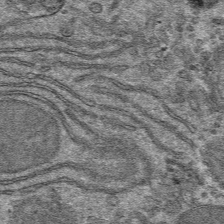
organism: Mouse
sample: Mouse hepatocytes